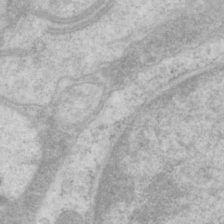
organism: P. pacificus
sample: Pharynx